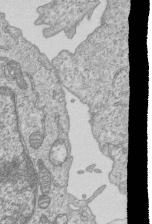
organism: Human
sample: MDA-MB-231 cells